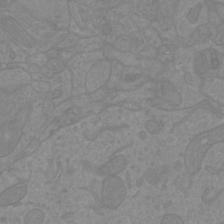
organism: Mouse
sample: Cortical neurons